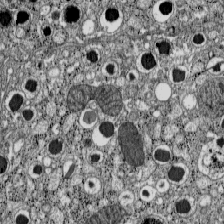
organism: C57BL Mouse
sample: Pancreatic islet